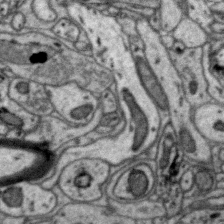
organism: Zebra finch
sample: Brain